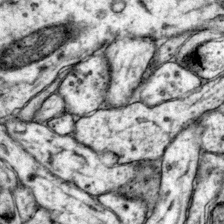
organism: Mouse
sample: Primary visual cortex